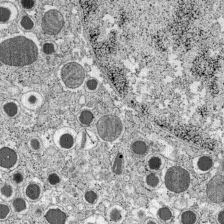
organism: C57BL Mouse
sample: Pancreatic islet